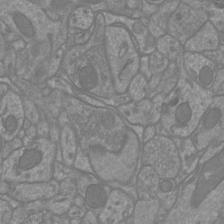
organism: Mouse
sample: Cortical neurons